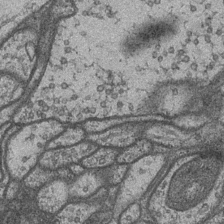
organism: Drosophila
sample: Optic medulla